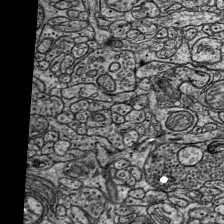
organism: Mouse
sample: Visual Cortex